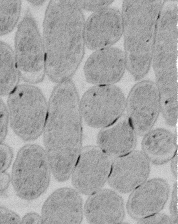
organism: E. coli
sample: Bacterial nucleoid